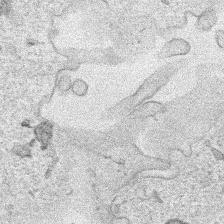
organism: Human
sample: Mitochondria in HCT116 cells